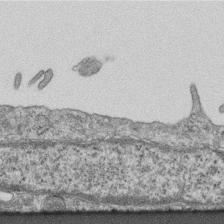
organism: Mouse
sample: Centriole in ependymal cells